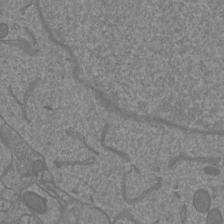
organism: Mouse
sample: Cortical neurons